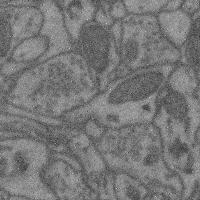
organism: Mouse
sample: Cerebral cortex